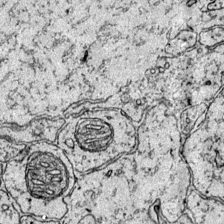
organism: Mouse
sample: Primary visual cortex